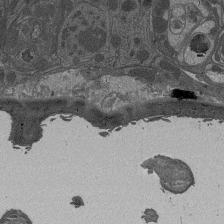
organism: Drosophila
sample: Antenna